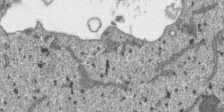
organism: Human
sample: Lung epithelial cells infected with SARS-CoV-2